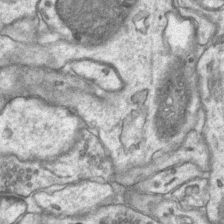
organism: Mouse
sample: CA1 Hippocampus